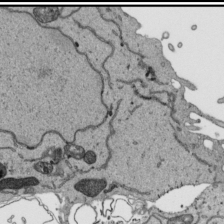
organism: Human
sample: Mitochondria in HCT116 cells